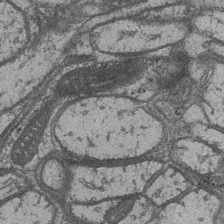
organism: Drosophila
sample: Optic medulla